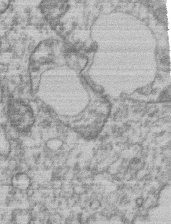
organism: Mouse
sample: T cell stromal cell synapse